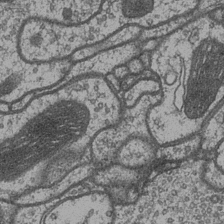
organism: Drosophila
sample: Optic medulla